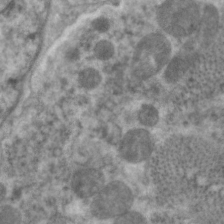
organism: C. elegans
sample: Pharynx